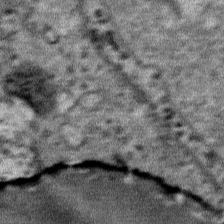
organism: Mouse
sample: Mouse Salivary gland